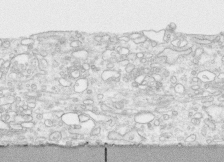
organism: Human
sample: CRL-1474